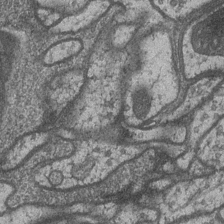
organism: Drosophila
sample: Optic medulla